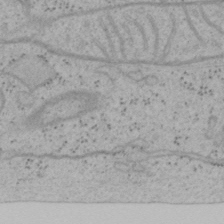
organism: Human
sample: HeLa cells